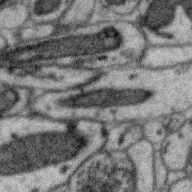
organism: Zebra finch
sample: Brain